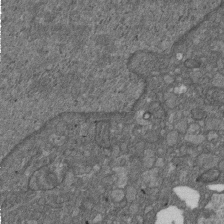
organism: Drosophila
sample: Nephrocyte